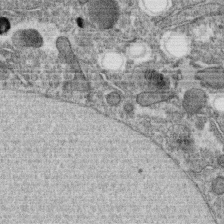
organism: C. elegans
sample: C. elegans oocyte; sperm cells